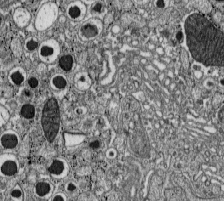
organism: C57BL Mouse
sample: Pancreatic islet